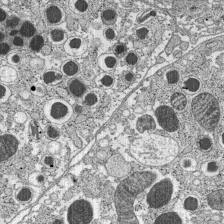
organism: C57BL Mouse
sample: Pancreatic islet